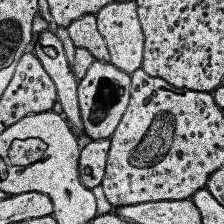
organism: Human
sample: Temporal Lobe